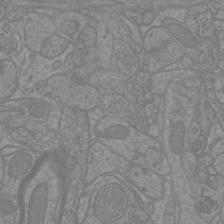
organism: Mouse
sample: Cortical neurons